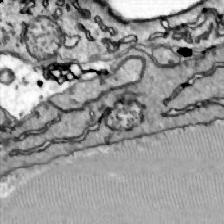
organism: Zebrafish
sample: Actinotrichia fibers